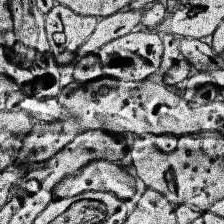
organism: Human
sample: Temporal Lobe